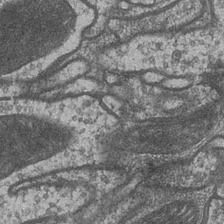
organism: Drosophila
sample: Optic medulla